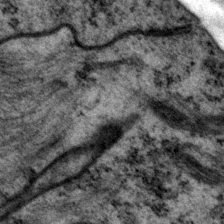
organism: P. pacificus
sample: Pharynx